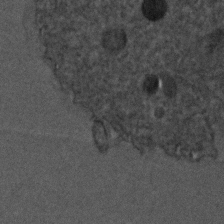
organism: C. elegans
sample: C. elegans embryo